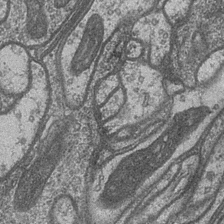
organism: Drosophila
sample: Optic medulla